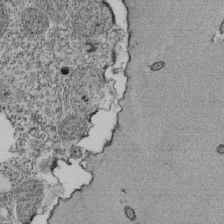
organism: Tetrahymena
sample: Cilia in tetrahymena